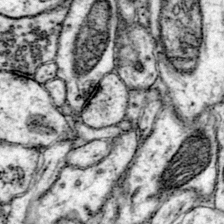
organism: Mouse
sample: Primary visual cortex